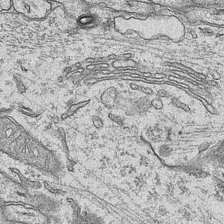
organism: Mouse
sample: CA1 Hippocampus